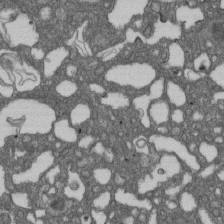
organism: Drosophila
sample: Nephrocyte